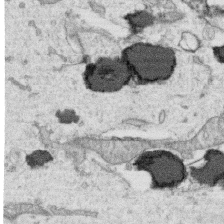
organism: Human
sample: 1205lu cells